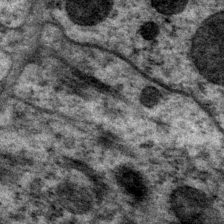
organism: P. pacificus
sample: Pharynx